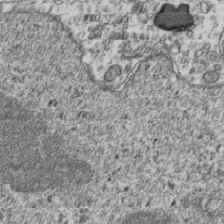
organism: Human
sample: Activated Jurkat CD4+ T cells